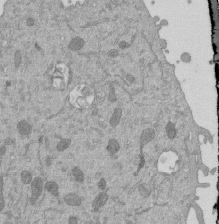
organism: Mouse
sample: ED-1 cell nuclei; centrioles